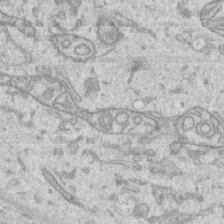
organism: Human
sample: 1205lu cells